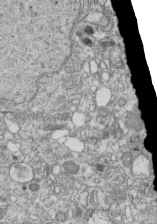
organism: Human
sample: HeLa cell HIV synapse